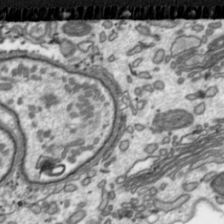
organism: Toxoplasma gondii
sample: Parasites in a vacuole inside a host cell